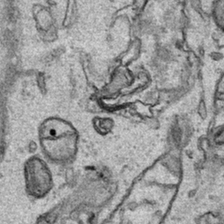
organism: Human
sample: Mitochondria in HCT116 cells